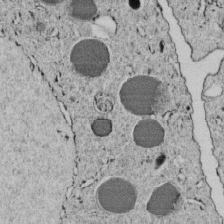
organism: C. elegans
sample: C. elegans embryo early stage